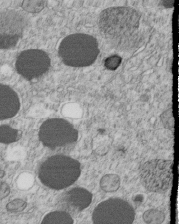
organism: C. elegans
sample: C. elegans embryo early stage